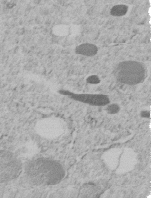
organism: C. elegans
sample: C. elegans embryo early stage